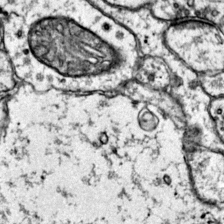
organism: Mouse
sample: Primary visual cortex